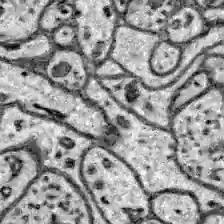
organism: Zebrafish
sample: Brain